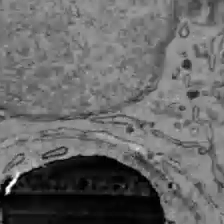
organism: C57BL Mouse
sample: Liver